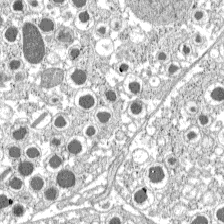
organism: C57BL Mouse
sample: Pancreatic islet